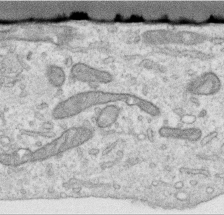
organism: Human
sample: Centriole in RPE cells